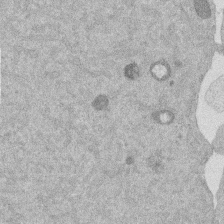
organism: Mouse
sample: Dividing mouse embryo 1 cell stage